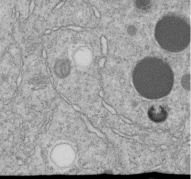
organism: C. elegans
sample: C. elegans embryo early stage